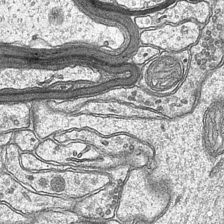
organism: Mouse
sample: CA1 Hippocampus